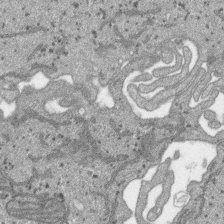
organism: Human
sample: Lung epithelial cells infected with SARS-CoV-2